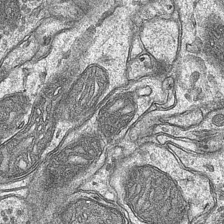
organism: Mouse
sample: CA1 Hippocampus